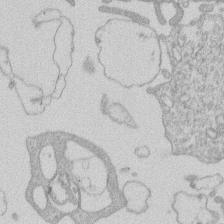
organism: Human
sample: Macrophage cells